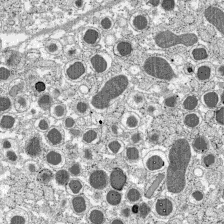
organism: C57BL Mouse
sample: Pancreatic islet